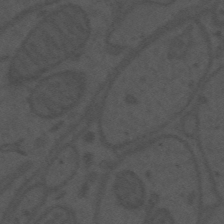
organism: Mouse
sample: Suprachiasmatic nucleus